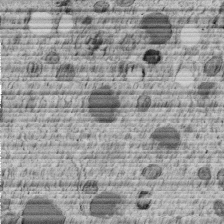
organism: C. elegans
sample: C. elegans embryo early stage